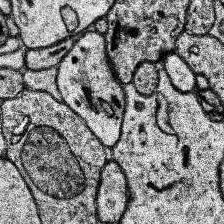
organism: Human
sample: Temporal Lobe